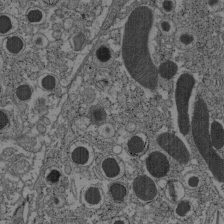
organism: C57BL Mouse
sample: Pancreatic islet